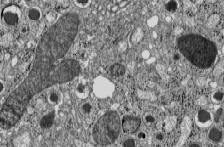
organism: C57BL Mouse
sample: Pancreatic islet